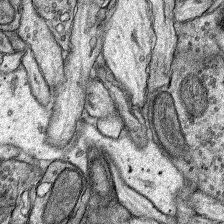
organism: Rat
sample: Hippocampus